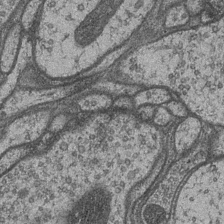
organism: Drosophila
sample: Optic medulla